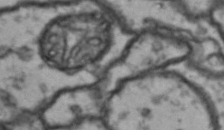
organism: Drosophila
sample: Brain